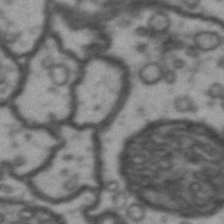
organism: Drosophila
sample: Brain